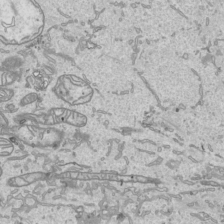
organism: Human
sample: Mitochondria in HCT116 cells